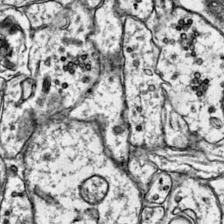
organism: Mouse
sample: Primary visual cortex